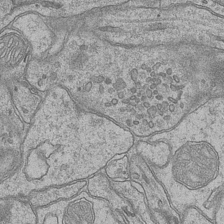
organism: Mouse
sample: CA1 Hippocampus